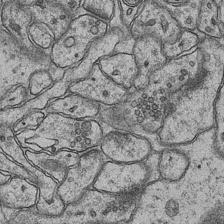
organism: Mouse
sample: CA1 Hippocampus